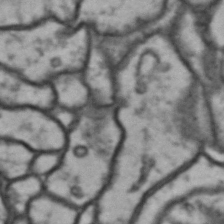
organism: Drosophila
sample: Brain